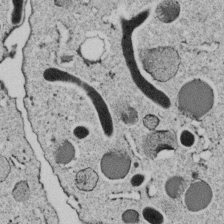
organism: C. elegans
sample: C. elegans embryo early stage